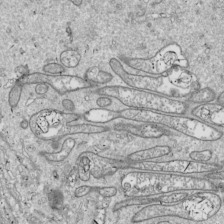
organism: Drosophila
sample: Cell division; meiosis; drosophila spermatocytes